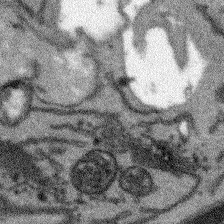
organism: Arabidopsis thaliana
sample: Root tip